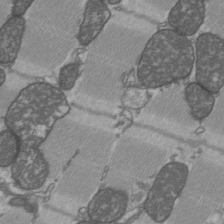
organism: C57BL Mouse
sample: Heart